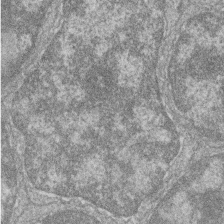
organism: Zebrafish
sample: Cilia; retinal pigment epithelium